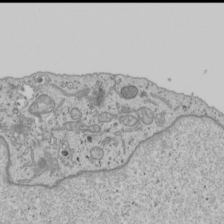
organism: Human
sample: Mitochondria in U2OS cells